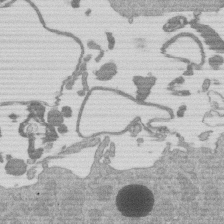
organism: Mouse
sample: Dividing mouse embryo 1 cell stage